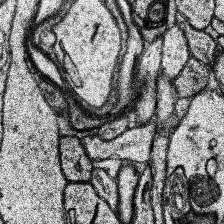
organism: Human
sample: Temporal Lobe